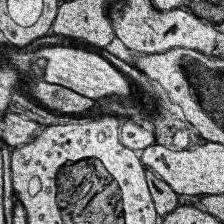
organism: Human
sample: Temporal Lobe